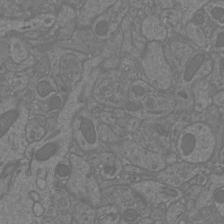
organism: Mouse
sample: Cortical neurons